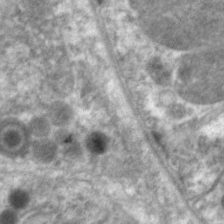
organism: C. elegans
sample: Pharynx